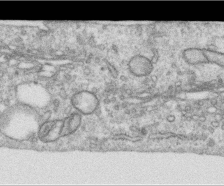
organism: Human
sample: Centriole in RPE cells